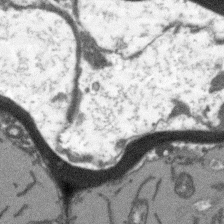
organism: Arabidopsis thaliana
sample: Root tip